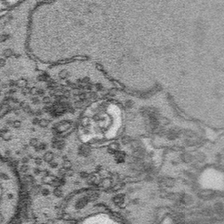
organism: Platynereis dumerilii